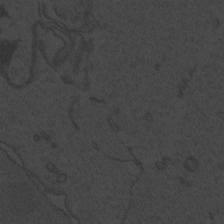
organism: Zebrafish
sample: Macrophage infected with Toxoplasma gondii